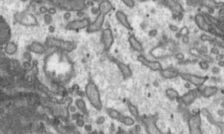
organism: Toxoplasma gondii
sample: Parasites in a vacuole inside a host cell